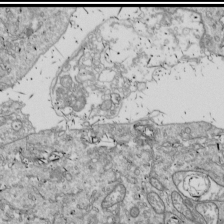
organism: Drosophila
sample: Cell division; meiosis; drosophila spermatocytes